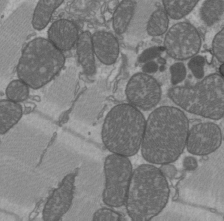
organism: C57BL Mouse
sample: Heart